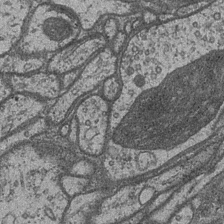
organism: Drosophila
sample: Optic medulla